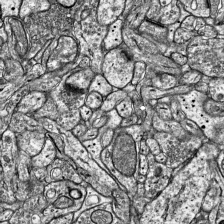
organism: Mouse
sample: Visual Cortex